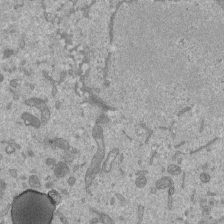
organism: Mouse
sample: ED-1 cell nuclei; centrioles